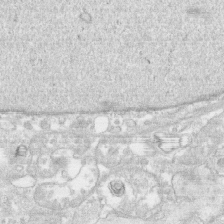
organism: Human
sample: CRL-1474